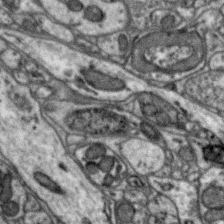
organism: Zebra finch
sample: Brain